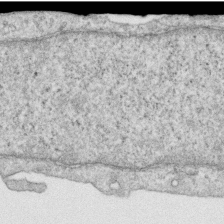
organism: Human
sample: Centriole in RPE cells